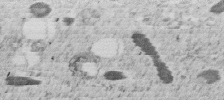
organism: C. elegans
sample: C. elegans embryo early stage